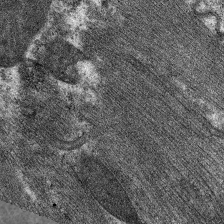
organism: C. elegans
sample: Pharynx